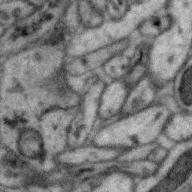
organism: Zebra finch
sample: Brain